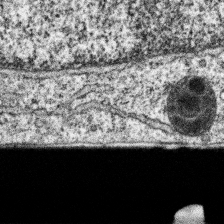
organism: Human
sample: HeLa cells